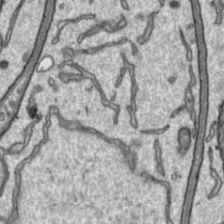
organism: Toxoplasma gondii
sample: Parasites in a vacuole inside a host cell